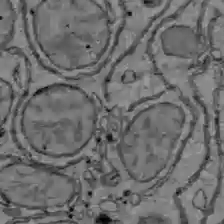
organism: C57BL Mouse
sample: Liver